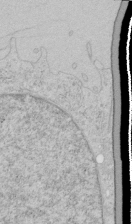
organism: Human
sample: Mitochondria in HCT116 cells